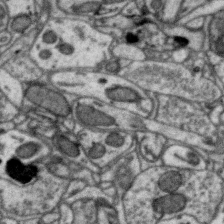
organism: Zebra finch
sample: Brain